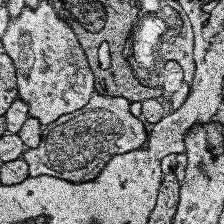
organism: Human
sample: Temporal Lobe